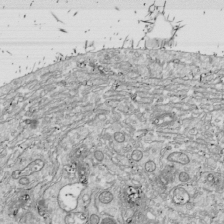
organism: Drosophila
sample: Cell division; meiosis; drosophila spermatocytes